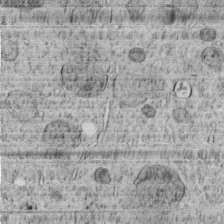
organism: C. elegans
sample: C. elegans embryo early stage